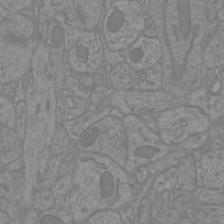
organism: Mouse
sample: Cortical neurons